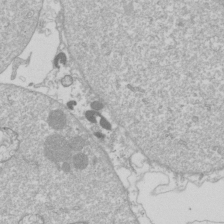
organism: Drosophila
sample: Cell division; meiosis; drosophila spermatocytes